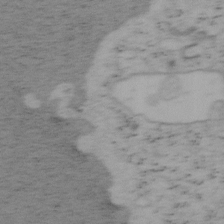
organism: Mouse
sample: OT-I killer T cells with ID8 ovarian cancer cells